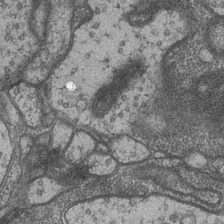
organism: Drosophila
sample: Optic medulla